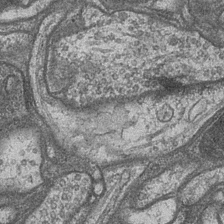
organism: Drosophila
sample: Optic medulla